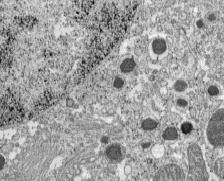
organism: C57BL Mouse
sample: Pancreatic islet